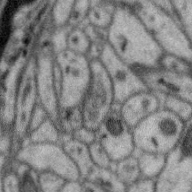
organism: Zebra finch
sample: Brain